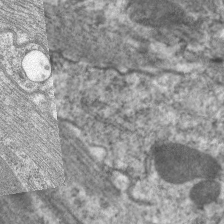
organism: C. elegans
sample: Pharynx